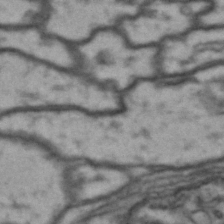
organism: Drosophila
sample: Brain